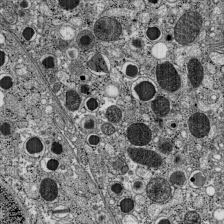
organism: C57BL Mouse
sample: Pancreatic islet